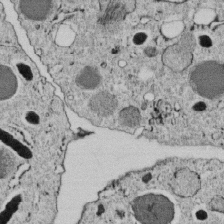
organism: C. elegans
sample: C. elegans embryo early stage